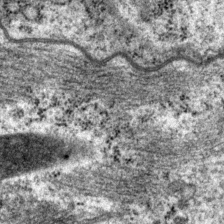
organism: P. pacificus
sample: Pharynx